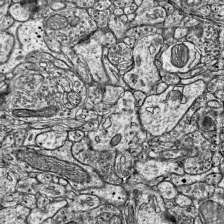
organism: Mouse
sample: Visual Cortex